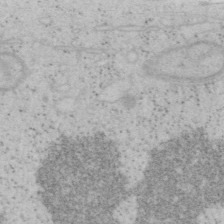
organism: Human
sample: HeLa cells